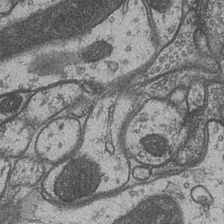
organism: Drosophila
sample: Optic medulla